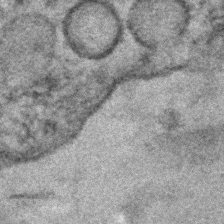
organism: Human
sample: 1205lu cells